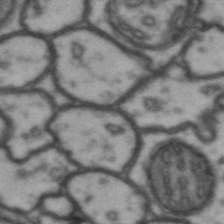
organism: Drosophila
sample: Brain